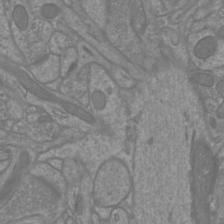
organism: Mouse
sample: Cortical neurons